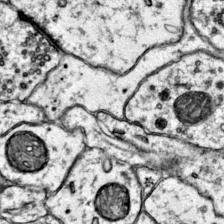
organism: Mouse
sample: Primary visual cortex